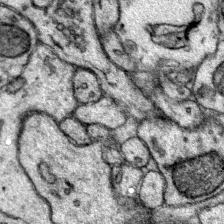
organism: Mouse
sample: Primary visual cortex